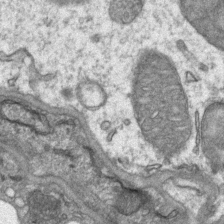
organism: Mouse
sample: CA1 Hippocampus